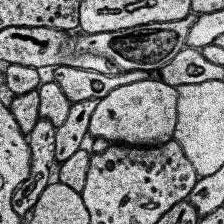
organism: Human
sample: Temporal Lobe